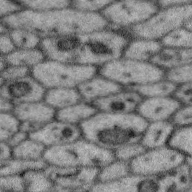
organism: Zebra finch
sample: Brain